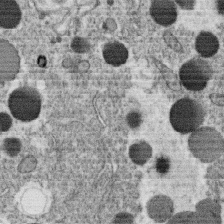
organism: C. elegans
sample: C. elegans oocyte; sperm cells